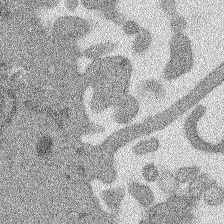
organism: Human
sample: HeLa cells